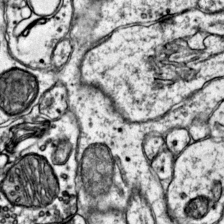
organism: Mouse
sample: Primary visual cortex